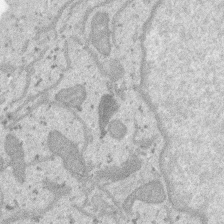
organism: Human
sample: Lung epithelial cells infected with SARS-CoV-2